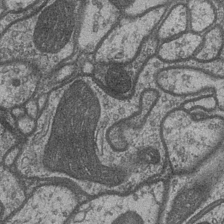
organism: Drosophila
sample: Optic medulla